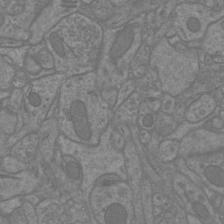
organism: Mouse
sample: Cortical neurons